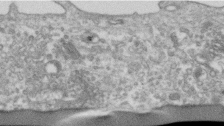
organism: Human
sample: Centriole in RPE cells